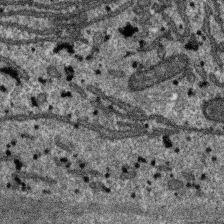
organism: Human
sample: Lung epithelial cells infected with SARS-CoV-2